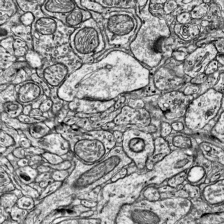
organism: Mouse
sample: Visual Cortex